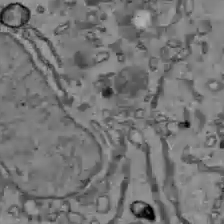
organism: C57BL Mouse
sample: Liver